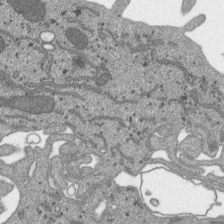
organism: Human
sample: Lung epithelial cells infected with SARS-CoV-2